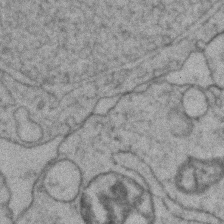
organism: Zebrafish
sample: Zebrafish embryo